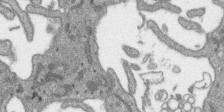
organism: Human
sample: Lung epithelial cells infected with SARS-CoV-2